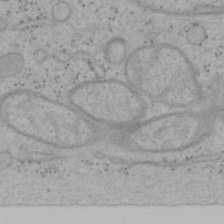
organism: Human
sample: HeLa cells